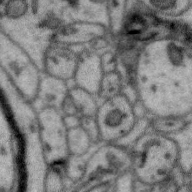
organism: Zebra finch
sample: Brain